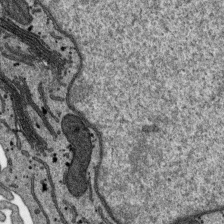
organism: Human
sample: Lung epithelial cells, uninfected (mock) control